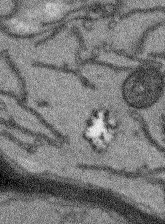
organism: Arabidopsis thaliana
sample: Root tip